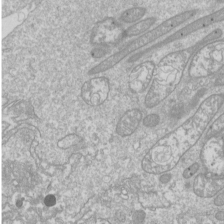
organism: Drosophila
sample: Cell division; meiosis; drosophila spermatocytes